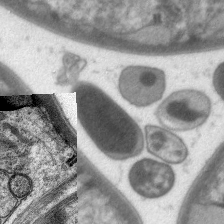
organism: C. elegans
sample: Pharynx